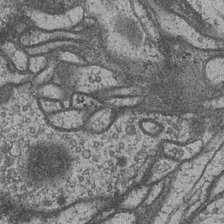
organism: Drosophila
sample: Optic medulla